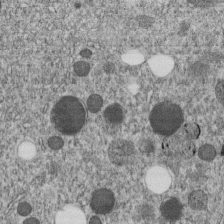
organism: C. elegans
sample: C. elegans embryo early stage